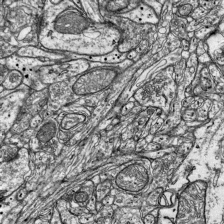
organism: Mouse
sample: Visual Cortex